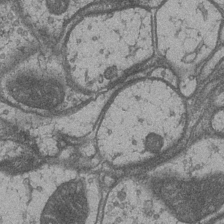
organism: Drosophila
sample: Optic medulla